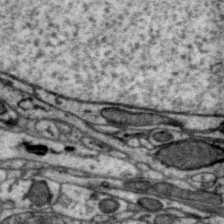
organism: Zebra finch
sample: Brain